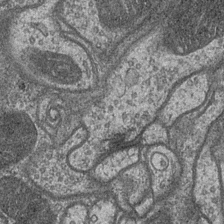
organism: Drosophila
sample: Optic medulla